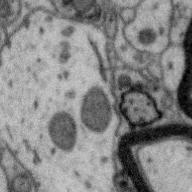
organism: Zebra finch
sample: Brain